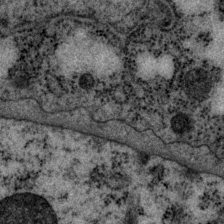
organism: P. pacificus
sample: Pharynx